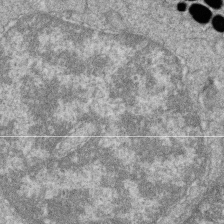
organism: Zebrafish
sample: Cilia; retinal pigment epithelium